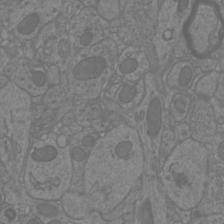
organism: Mouse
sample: Cortical neurons